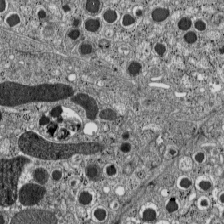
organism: C57BL Mouse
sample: Pancreatic islet